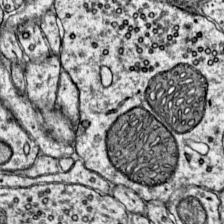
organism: Mouse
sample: Primary visual cortex